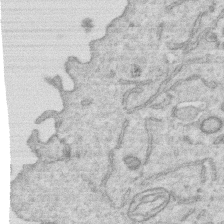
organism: Human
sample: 1205lu cells